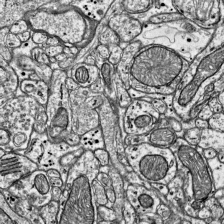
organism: Mouse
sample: Visual Cortex